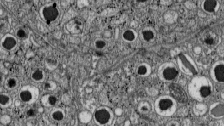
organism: C57BL Mouse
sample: Pancreatic islet